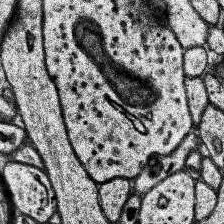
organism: Human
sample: Temporal Lobe